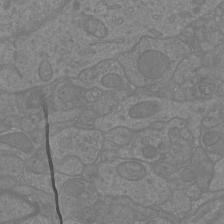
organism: Mouse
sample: Cortical neurons